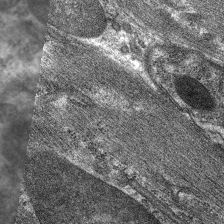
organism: C. elegans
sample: Pharynx